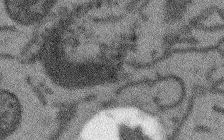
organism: Arabidopsis thaliana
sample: Root tip